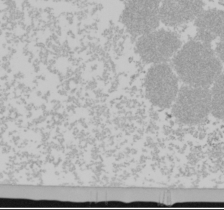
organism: Mouse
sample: Cancer cell death in ED-1 cells